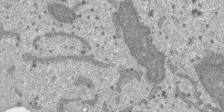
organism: Human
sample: Lung epithelial cells infected with SARS-CoV-2